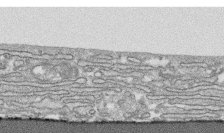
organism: Human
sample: CRL-1474